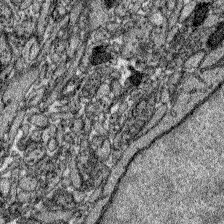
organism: Zebrafish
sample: Larval olfactory bulb